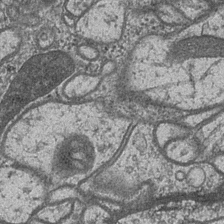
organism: Drosophila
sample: Optic medulla